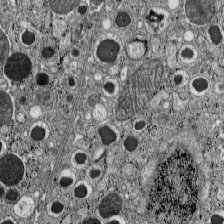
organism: C57BL Mouse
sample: Pancreatic islet